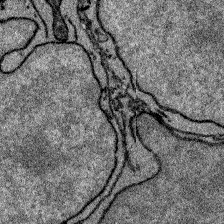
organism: Zebrafish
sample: Larval olfactory bulb